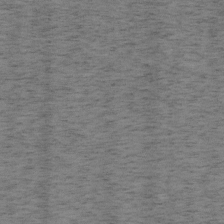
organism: Mouse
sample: OT-I killer T cells with ID8 ovarian cancer cells